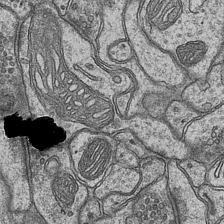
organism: Mouse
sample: CA1 Hippocampus